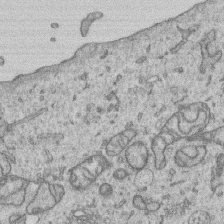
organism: Human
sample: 1205lu cells